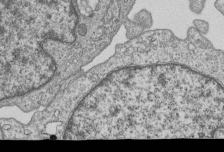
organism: Human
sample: MDA-MB-231 cells